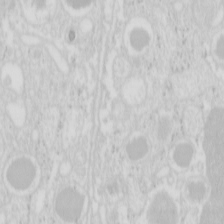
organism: Mouse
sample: Pancreas